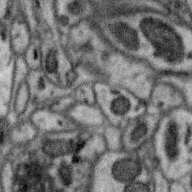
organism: Zebra finch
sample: Brain